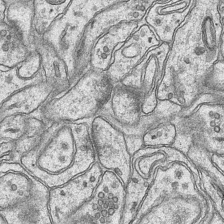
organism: Mouse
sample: CA1 Hippocampus